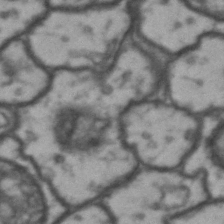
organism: Drosophila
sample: Brain